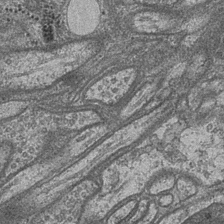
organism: Drosophila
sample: Optic medulla